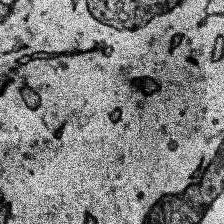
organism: Human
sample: Temporal Lobe